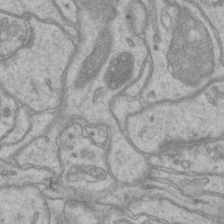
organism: Mouse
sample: CA1 Hippocampus